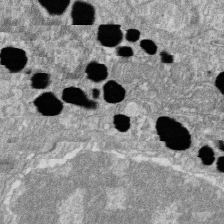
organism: Zebrafish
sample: Cilia; retinal pigment epithelium